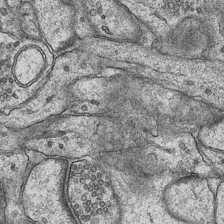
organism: Mouse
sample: CA1 Hippocampus